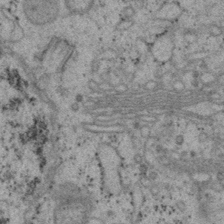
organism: Human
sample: HeLa cells